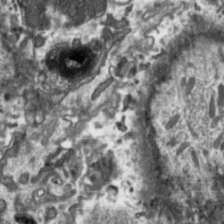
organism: Toxoplasma gondii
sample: Parasites in a vacuole inside a host cell